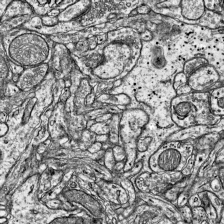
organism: Mouse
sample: Visual Cortex